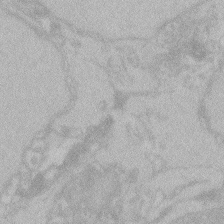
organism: Zebrafish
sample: Macrophage infected with Toxoplasma gondii